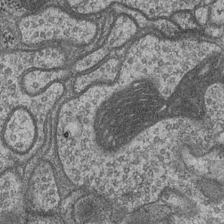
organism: Drosophila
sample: Optic medulla